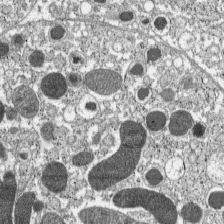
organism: C57BL Mouse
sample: Pancreatic islet